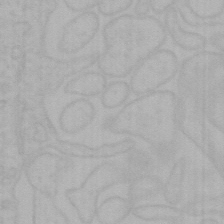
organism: Mouse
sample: Choroid plexus